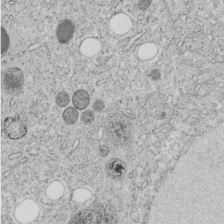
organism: C. elegans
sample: C. elegans embryo early stage